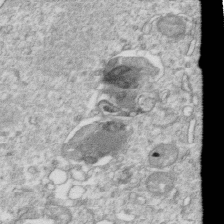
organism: Mouse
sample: Activated OT-1 CD8+ T cells